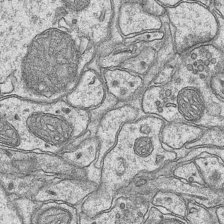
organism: Mouse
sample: CA1 Hippocampus